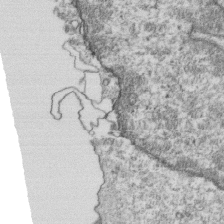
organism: Mouse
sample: Activated OT-1 CD8+ T cells